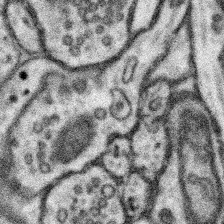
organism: Mouse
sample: Somatosensory cortex neuropil